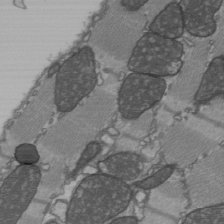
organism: C57BL Mouse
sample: Heart